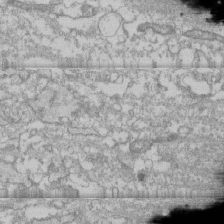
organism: Human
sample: CRL-1474